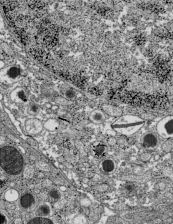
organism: C57BL Mouse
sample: Pancreatic islet